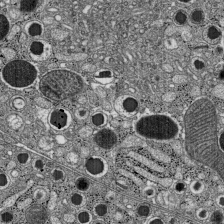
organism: C57BL Mouse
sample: Pancreatic islet